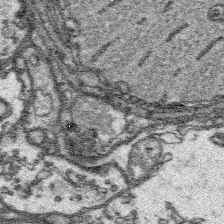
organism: Platynereis dumerilii